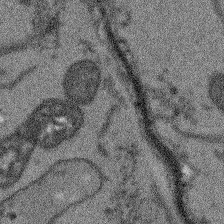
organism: Arabidopsis thaliana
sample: Root tip